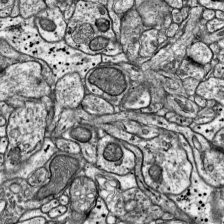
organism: Mouse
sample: Visual Cortex